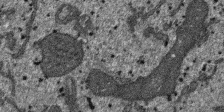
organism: Human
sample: Lung epithelial cells infected with SARS-CoV-2